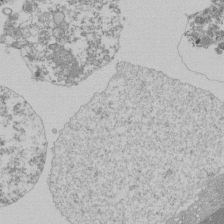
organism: Mouse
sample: Activated Pmel transgenic CD8+ T Cells